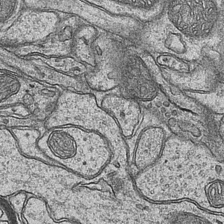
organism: Mouse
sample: CA1 Hippocampus